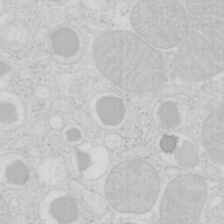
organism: Mouse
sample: Pancreas